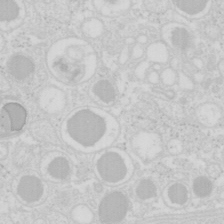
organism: Mouse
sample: Pancreas